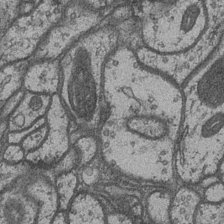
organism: Drosophila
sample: Optic medulla